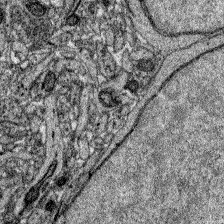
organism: Zebrafish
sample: Larval olfactory bulb